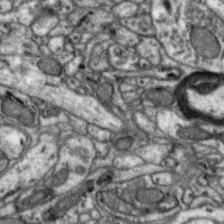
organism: Zebra finch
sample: Brain